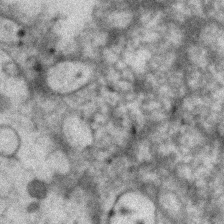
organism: Zebrafish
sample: Zebrafish embryo